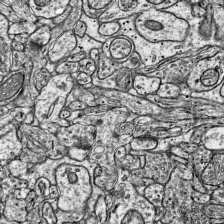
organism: Mouse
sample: Visual Cortex